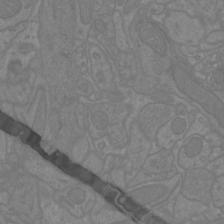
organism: Mouse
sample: Cortical neurons